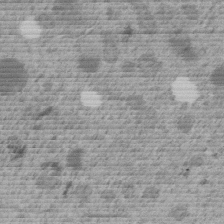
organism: C. elegans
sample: C. elegans embryo early stage